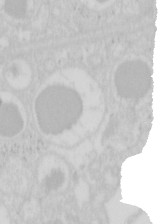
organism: Mouse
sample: Pancreas